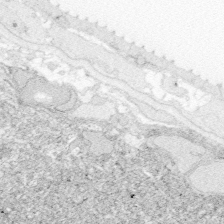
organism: Zebrafish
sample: Whole-Brain